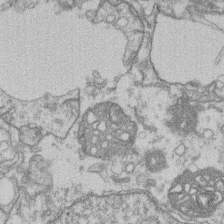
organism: Mouse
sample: T cell stromal cell synapse